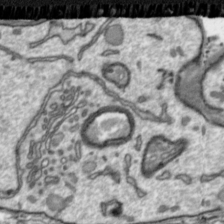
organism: Toxoplasma gondii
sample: Parasites in a vacuole inside a host cell